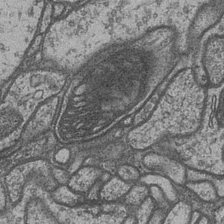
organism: Drosophila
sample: Optic medulla